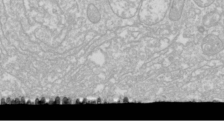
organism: Drosophila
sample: Cell division; meiosis; drosophila spermatocytes